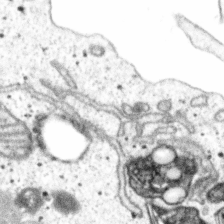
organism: Human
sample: HeLa cells